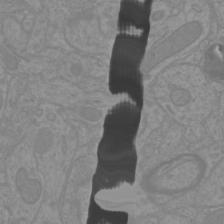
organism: Mouse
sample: Cortical neurons